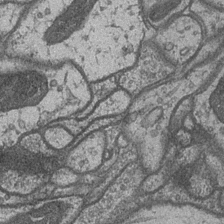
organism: Drosophila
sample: Optic medulla